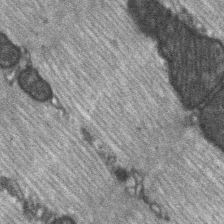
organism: C57BL Mouse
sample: Soleus